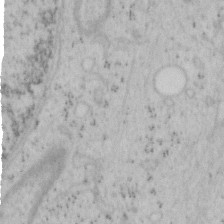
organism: Human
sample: HeLa cells